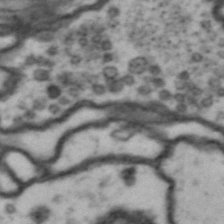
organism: Drosophila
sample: Brain